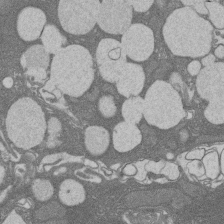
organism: Rat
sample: Salivary granule